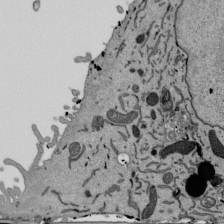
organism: Mouse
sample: ED-1 cell nuclei; centrioles